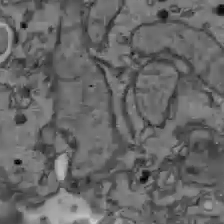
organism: C57BL Mouse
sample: Liver